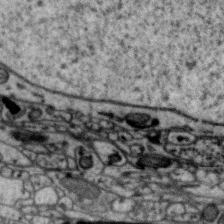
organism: Zebra finch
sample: Brain